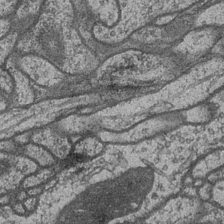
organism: Drosophila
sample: Optic medulla